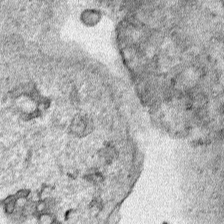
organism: Human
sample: Mitochondria in HCT116 cells